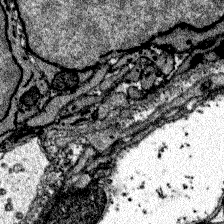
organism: Zebrafish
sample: Larval olfactory bulb